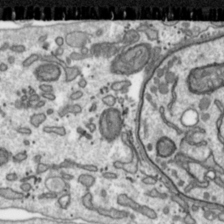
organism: Toxoplasma gondii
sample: Parasites in a vacuole inside a host cell